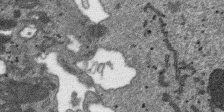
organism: Human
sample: Lung epithelial cells infected with SARS-CoV-2